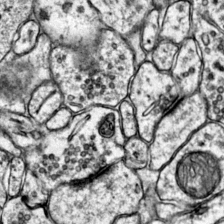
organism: Mouse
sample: Primary visual cortex